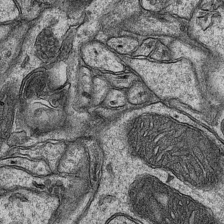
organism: Mouse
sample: CA1 Hippocampus